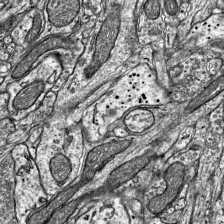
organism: Mouse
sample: Visual Cortex